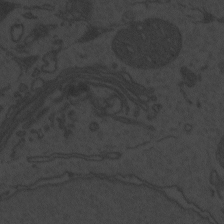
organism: Zebrafish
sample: Macrophage infected with Toxoplasma gondii